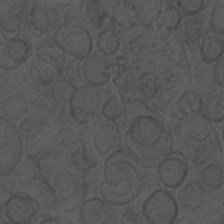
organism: C. elegans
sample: C. elegans embryo